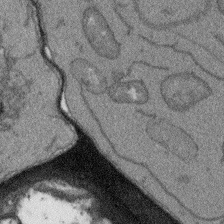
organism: Arabidopsis thaliana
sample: Root tip